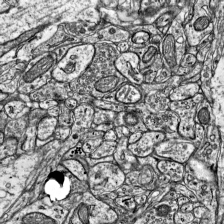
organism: Mouse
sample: Visual Cortex